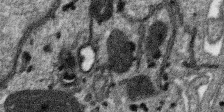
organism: Human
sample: Lung epithelial cells infected with SARS-CoV-2